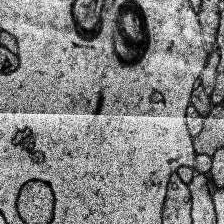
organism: Human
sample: Temporal Lobe